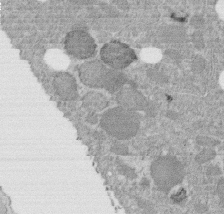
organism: C. elegans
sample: C. elegans embryo early stage